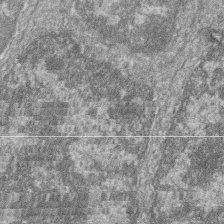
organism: Zebrafish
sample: Cilia; retinal pigment epithelium